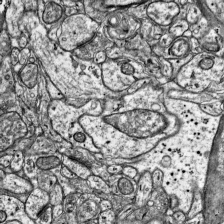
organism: Mouse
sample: Visual Cortex